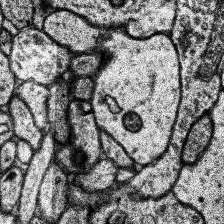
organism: Human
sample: Temporal Lobe